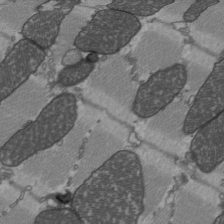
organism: C57BL Mouse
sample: Heart